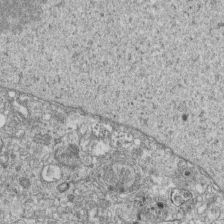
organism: Human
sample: HeLa cell HIV synapse